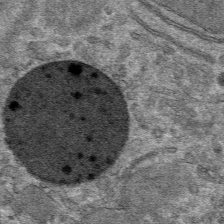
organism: Mouse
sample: Mouse hepatocytes